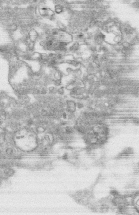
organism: Human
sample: CRL-1474